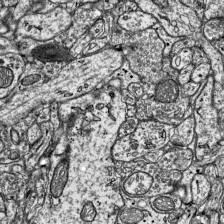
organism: Mouse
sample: Visual Cortex